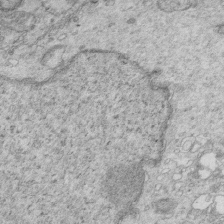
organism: Mouse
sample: Multiciliated cells